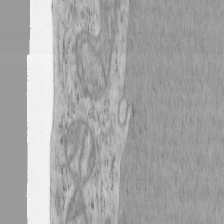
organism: Human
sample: HeLa cells